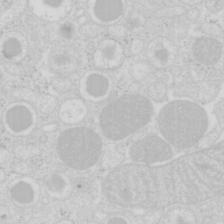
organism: Mouse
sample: Pancreas